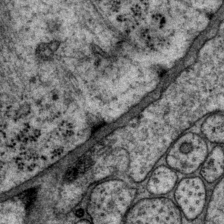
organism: P. pacificus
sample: Pharynx